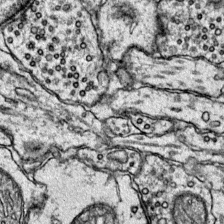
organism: Mouse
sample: Primary visual cortex